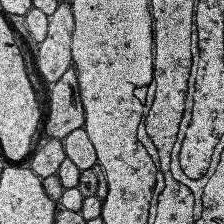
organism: Human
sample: Temporal Lobe